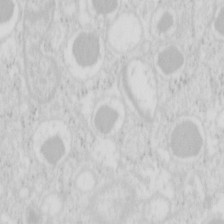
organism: Mouse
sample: Pancreas